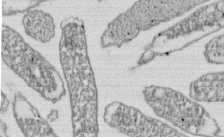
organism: E. coli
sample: Bacterial nucleoid